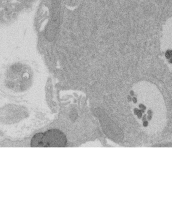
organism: Rat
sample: Salivary granule